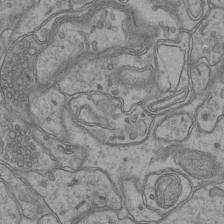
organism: Mouse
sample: CA1 Hippocampus